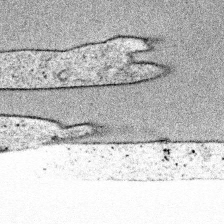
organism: Human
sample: HeLa cells